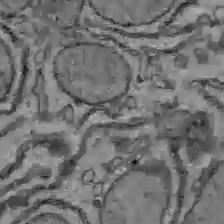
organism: C57BL Mouse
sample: Liver